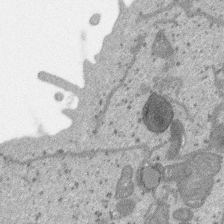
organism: Human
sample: Lung epithelial cells infected with SARS-CoV-2